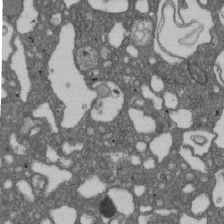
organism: Drosophila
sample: Nephrocyte